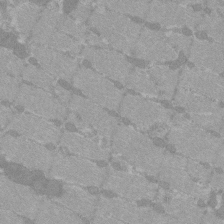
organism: C57BL Mouse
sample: Tibialis anterior muscle cell